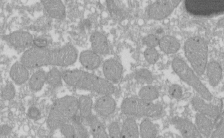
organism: Xenopus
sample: Cilia; centrioles in frog embryo cells